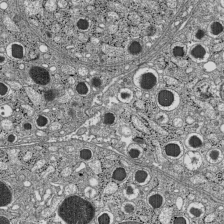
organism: C57BL Mouse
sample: Pancreatic islet